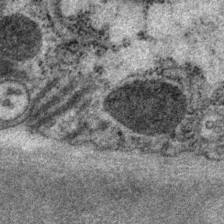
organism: P. pacificus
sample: Pharynx